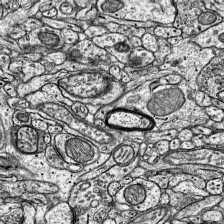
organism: Mouse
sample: Visual Cortex